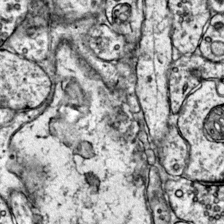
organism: Mouse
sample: Primary visual cortex